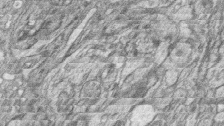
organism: Zebrafish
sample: synaptic ribbons in rod cells and cone cells